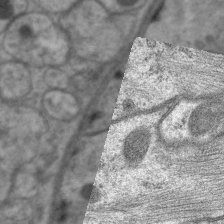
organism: C. elegans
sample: Pharynx